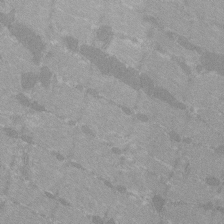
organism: C57BL Mouse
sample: Tibialis anterior muscle cell